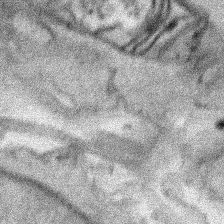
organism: Human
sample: Mitochondria in HCT116 cells